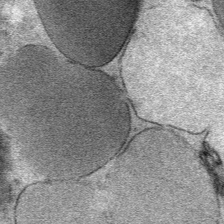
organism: Mouse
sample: Mouse Salivary gland